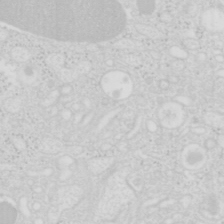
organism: Mouse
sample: Pancreas